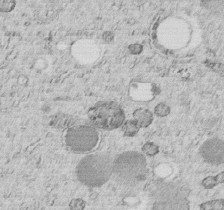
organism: C. elegans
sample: C. elegans embryo early stage